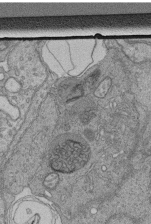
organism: Human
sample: Retinal organoid Rod and Cone cells